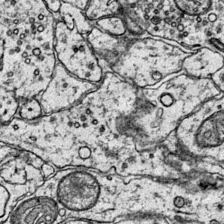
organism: Mouse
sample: Primary visual cortex